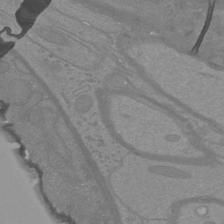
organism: Mouse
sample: Cortical neurons